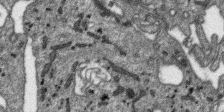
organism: Human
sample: Lung epithelial cells infected with SARS-CoV-2